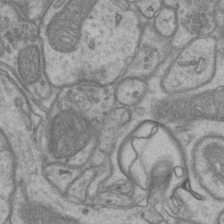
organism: Mouse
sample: CA1 Hippocampus